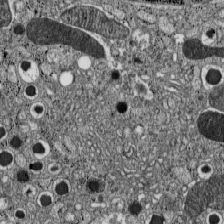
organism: C57BL Mouse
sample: Pancreatic islet